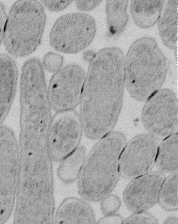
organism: E. coli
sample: Bacterial nucleoid